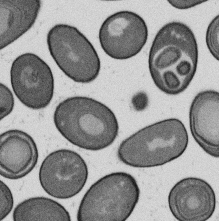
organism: B. subtilis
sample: Bacterial spore